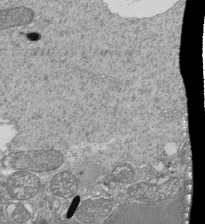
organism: Tetrahymena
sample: Cilia in tetrahymena